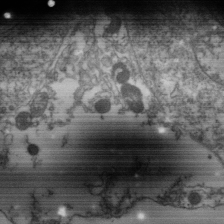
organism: Drosophila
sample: Cell division; meiosis; drosophila spermatocytes